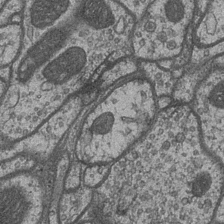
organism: Drosophila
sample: Optic medulla